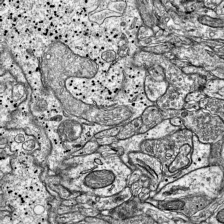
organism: Mouse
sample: Visual Cortex